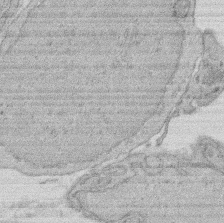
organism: Rat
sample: Salivary granule